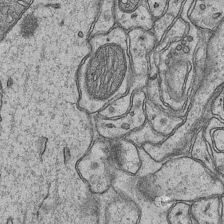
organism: Mouse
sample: CA1 Hippocampus